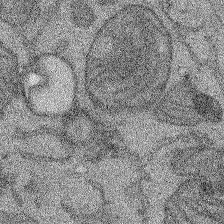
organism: Human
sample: HeLa cells